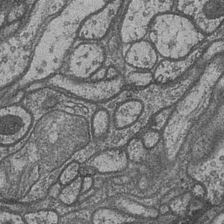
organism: Drosophila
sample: Optic medulla